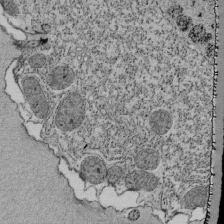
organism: Tetrahymena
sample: Cilia in tetrahymena